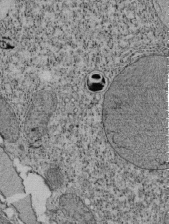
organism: Tetrahymena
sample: Cilia in tetrahymena